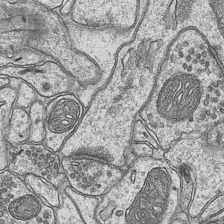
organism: Mouse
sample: CA1 Hippocampus